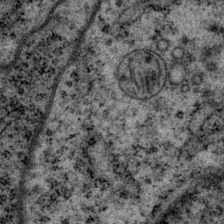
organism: P. pacificus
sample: Pharynx